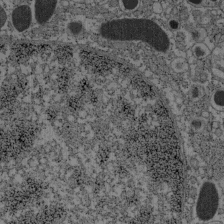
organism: C57BL Mouse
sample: Pancreatic islet